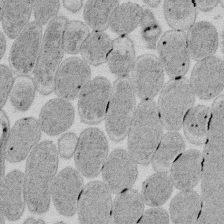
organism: E. coli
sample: Bacterial nucleoid